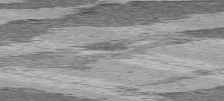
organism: C57BL Mouse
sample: Heart